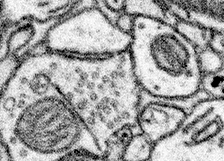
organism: Mouse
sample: Somatosensory cortex neuropil